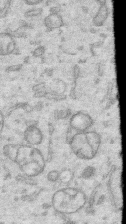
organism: Human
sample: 1205lu cells